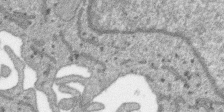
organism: Human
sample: Lung epithelial cells infected with SARS-CoV-2